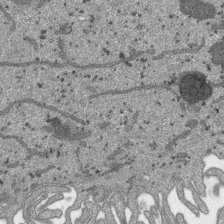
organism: Human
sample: Lung epithelial cells infected with SARS-CoV-2